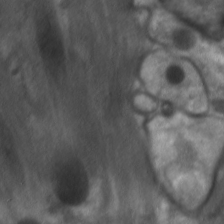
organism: C. elegans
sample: Pharynx